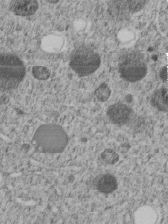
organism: C. elegans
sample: C. elegans embryo early stage